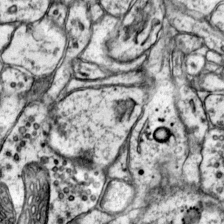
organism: Mouse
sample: Primary visual cortex